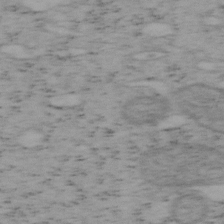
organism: Mouse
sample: OT-I killer T cells with ID8 ovarian cancer cells